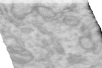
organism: Human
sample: Centriole in RPE cells